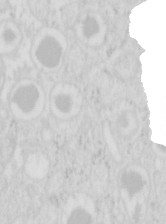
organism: Mouse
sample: Pancreas